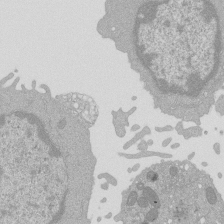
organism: Mouse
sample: Activated Pmel transgenic CD8+ T Cells